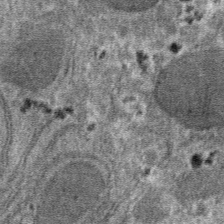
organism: Mouse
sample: Mouse hepatocytes